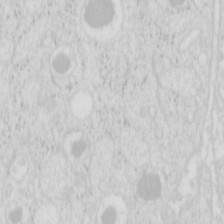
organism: Mouse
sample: Pancreas